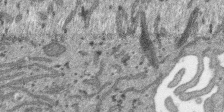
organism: Human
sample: Lung epithelial cells infected with SARS-CoV-2